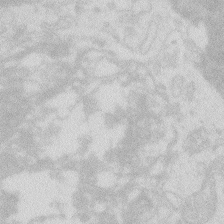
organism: Zebrafish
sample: Macrophage